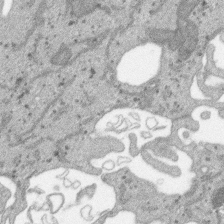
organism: Human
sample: Lung epithelial cells infected with SARS-CoV-2